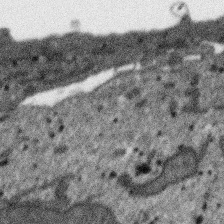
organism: Human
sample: Lung epithelial cells infected with SARS-CoV-2